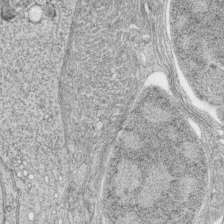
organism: Zebrafish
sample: synaptic ribbons in rod cells and cone cells